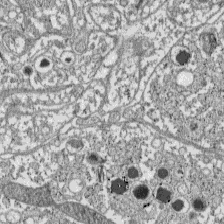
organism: C57BL Mouse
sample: Pancreatic islet